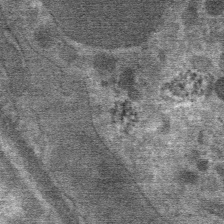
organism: Mouse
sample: Mouse Salivary gland